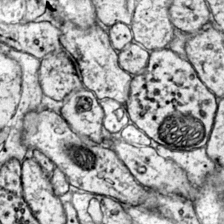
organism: Mouse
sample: Primary visual cortex